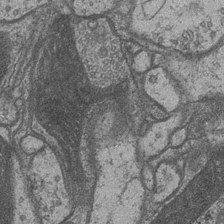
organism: Drosophila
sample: Optic medulla